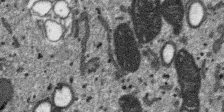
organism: Human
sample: Lung epithelial cells infected with SARS-CoV-2